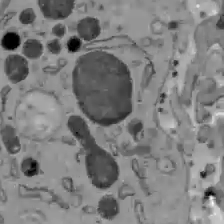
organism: C57BL Mouse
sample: Liver